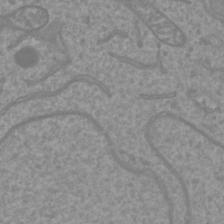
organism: Mouse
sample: Cortical neurons